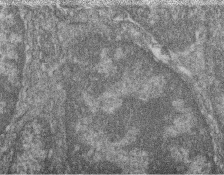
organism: Zebrafish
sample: Cilia; retinal pigment epithelium